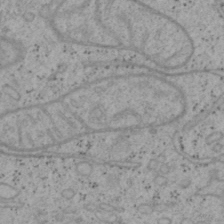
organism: Human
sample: HeLa cells